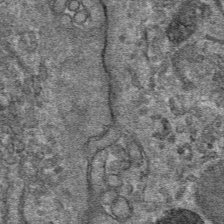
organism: Mouse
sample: Mouse hepatocytes